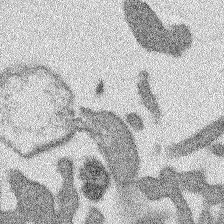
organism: Human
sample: HeLa cells